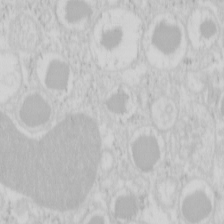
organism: Mouse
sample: Pancreas